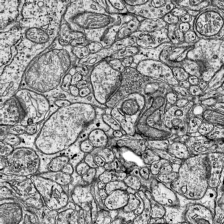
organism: Mouse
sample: Visual Cortex